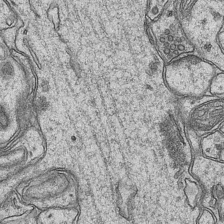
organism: Mouse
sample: CA1 Hippocampus